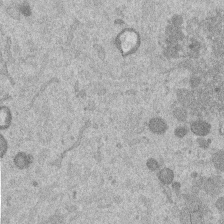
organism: Mouse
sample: Dividing mouse embryo 1 cell stage